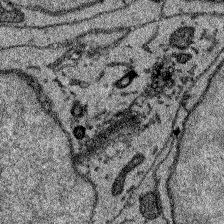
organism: Zebrafish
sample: Larval olfactory bulb